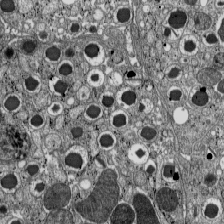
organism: C57BL Mouse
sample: Pancreatic islet